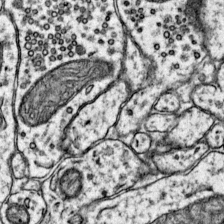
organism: Mouse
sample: Primary visual cortex